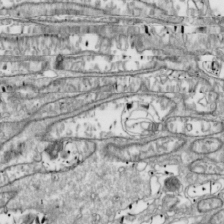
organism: Drosophila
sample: Cell division; meiosis; drosophila spermatocytes